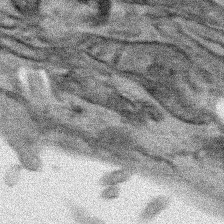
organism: Human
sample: Mitochondria in HCT116 cells